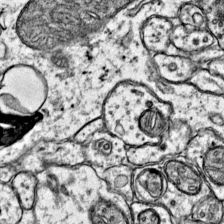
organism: Mouse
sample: Primary visual cortex